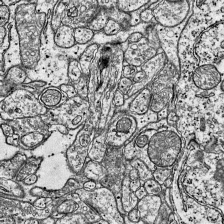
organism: Mouse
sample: Visual Cortex